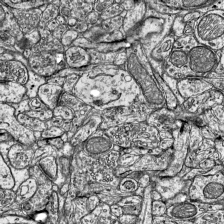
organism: Mouse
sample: Visual Cortex